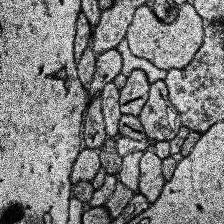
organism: Human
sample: Temporal Lobe